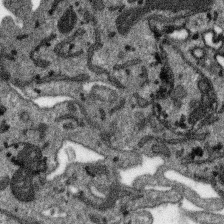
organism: Human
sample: Lung epithelial cells infected with SARS-CoV-2